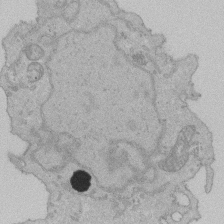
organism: Human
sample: Activated Jurkat CD4+ T cells